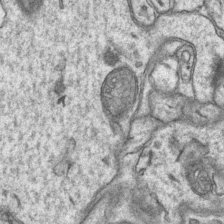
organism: Mouse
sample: CA1 Hippocampus